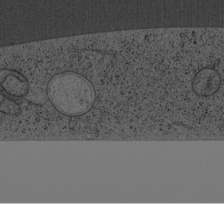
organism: African green monkey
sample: COS-7 cells